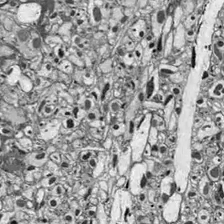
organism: Drosophila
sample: Optic lobe